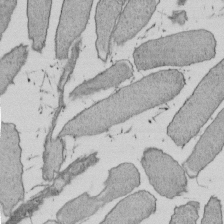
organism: E. coli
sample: Bacterial nucleoid